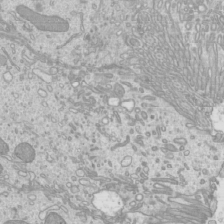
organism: Mouse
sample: Cilia; mouse epididymis